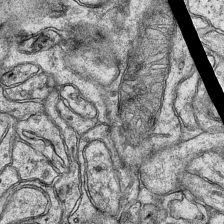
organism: Mouse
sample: CA1 Hippocampus